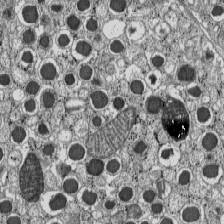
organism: C57BL Mouse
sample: Pancreatic islet